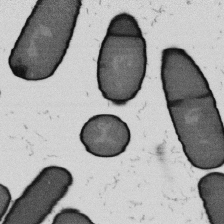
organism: B. subtilis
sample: Bacterial spore